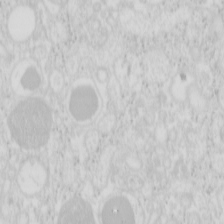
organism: Mouse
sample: Pancreas